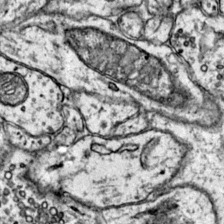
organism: Mouse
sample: Primary visual cortex